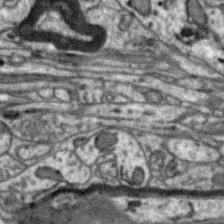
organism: Zebra finch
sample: Brain